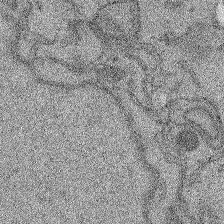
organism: Human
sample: HeLa cells